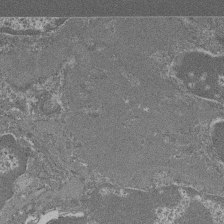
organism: Mouse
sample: Glomerulus